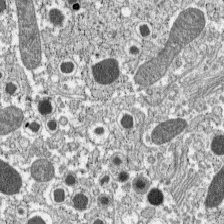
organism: C57BL Mouse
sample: Pancreatic islet